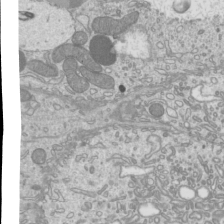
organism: Mouse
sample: Cilia; mouse epididymis